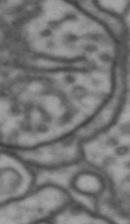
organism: Drosophila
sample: Brain